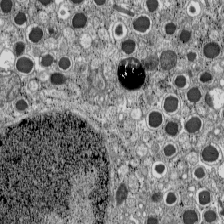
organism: C57BL Mouse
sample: Pancreatic islet